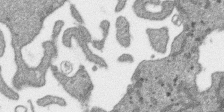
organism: Human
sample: Lung epithelial cells infected with SARS-CoV-2